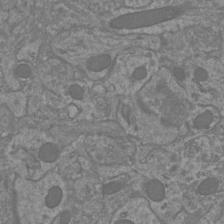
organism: Mouse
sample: Cortical neurons